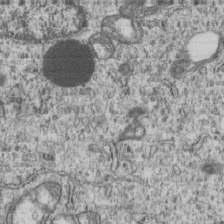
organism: Human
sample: MDA-MB-231 cells